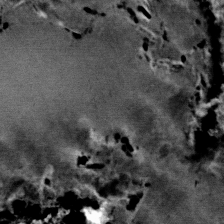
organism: Mouse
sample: Mouse Salivary gland